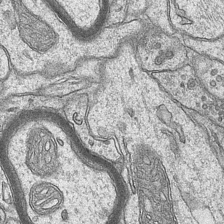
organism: Mouse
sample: CA1 Hippocampus